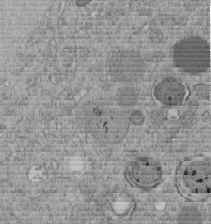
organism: C. elegans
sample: C. elegans embryo early stage